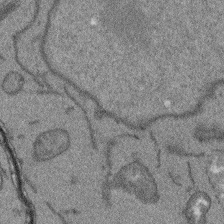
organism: Arabidopsis thaliana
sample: Root tip